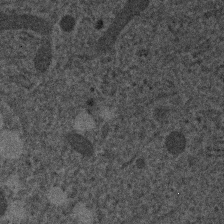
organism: Human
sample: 1205lu cells